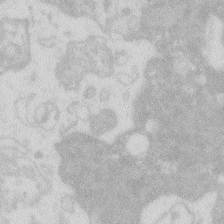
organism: Zebrafish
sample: Macrophage